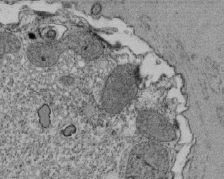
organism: Tetrahymena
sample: Cilia in tetrahymena